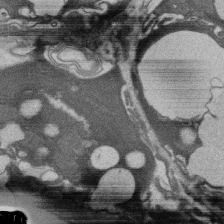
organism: Rat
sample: Salivary granule